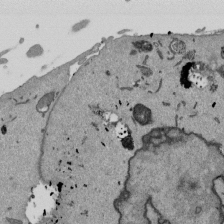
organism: Mouse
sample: ED-1 cell nuclei; centrioles